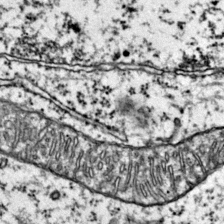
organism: Mouse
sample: Primary visual cortex